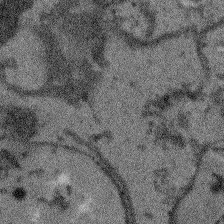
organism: Arabidopsis thaliana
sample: Root tip